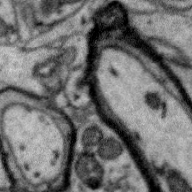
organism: Zebra finch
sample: Brain